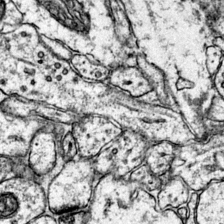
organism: Mouse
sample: Primary visual cortex